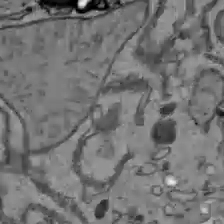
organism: C57BL Mouse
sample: Liver